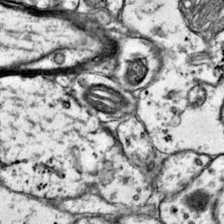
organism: Mouse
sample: Primary visual cortex